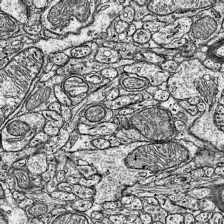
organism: Mouse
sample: Visual Cortex